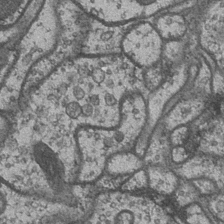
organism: Drosophila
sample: Optic medulla